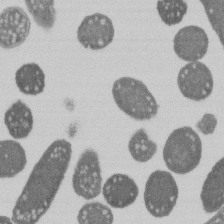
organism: E. coli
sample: Bacterial nucleoid